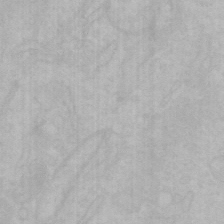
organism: Mouse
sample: Choroid plexus